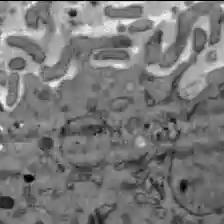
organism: C57BL Mouse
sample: Liver